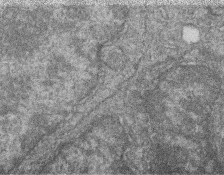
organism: Zebrafish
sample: Cilia; retinal pigment epithelium